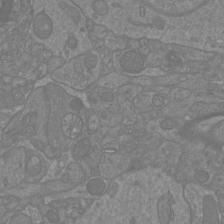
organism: Mouse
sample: Cortical neurons